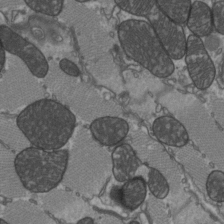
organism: C57BL Mouse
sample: Heart